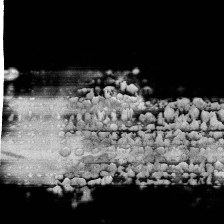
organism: Human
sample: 1205lu cells